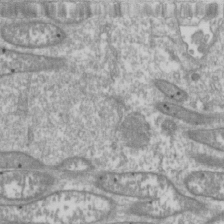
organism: Drosophila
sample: Cell division; meiosis; drosophila spermatocytes